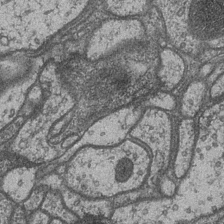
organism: Drosophila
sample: Optic medulla